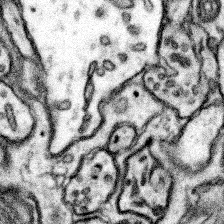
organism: Mouse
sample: Somatosensory cortex neuropil